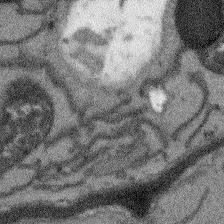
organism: Arabidopsis thaliana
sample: Root tip